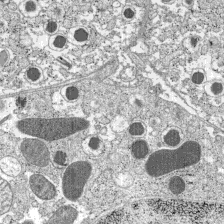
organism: C57BL Mouse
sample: Pancreatic islet